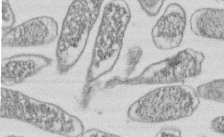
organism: E. coli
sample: Bacterial nucleoid